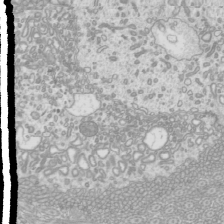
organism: Mouse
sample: Cilia; mouse epididymis